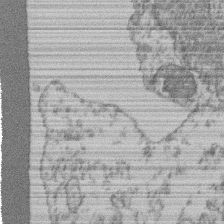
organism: Mouse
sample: T cell stromal cell synapse